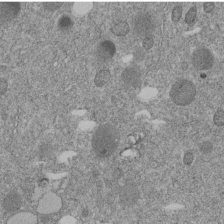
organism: C. elegans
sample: C. elegans embryo early stage